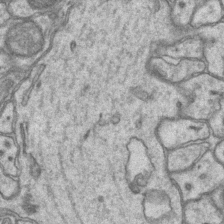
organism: Mouse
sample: CA1 Hippocampus